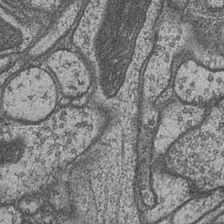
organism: Drosophila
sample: Optic medulla